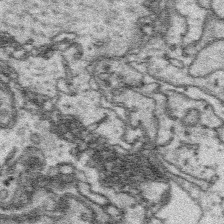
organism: Platynereis dumerilii